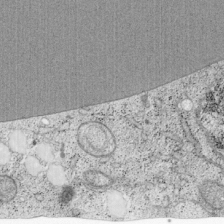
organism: African green monkey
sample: COS-7 cells